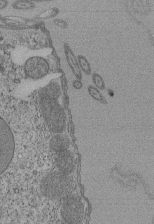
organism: Tetrahymena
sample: Cilia in tetrahymena